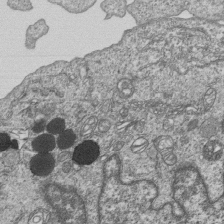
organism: Human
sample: MDA-MB-231 cells